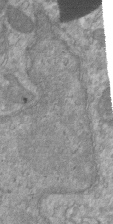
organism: Mouse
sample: ED-1 cell nuclei; centrioles